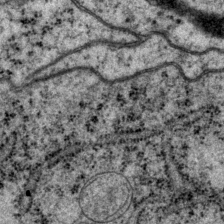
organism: P. pacificus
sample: Pharynx